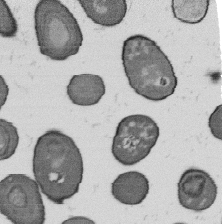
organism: B. subtilis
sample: Bacterial spore